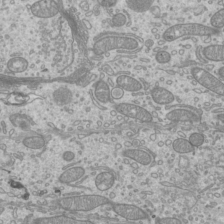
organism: Mouse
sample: Cilia; mouse epididymis